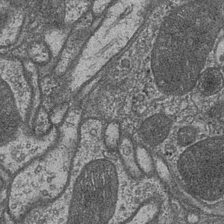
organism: Drosophila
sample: Optic medulla